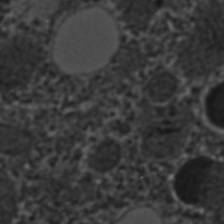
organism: C. elegans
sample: C. elegans embryo